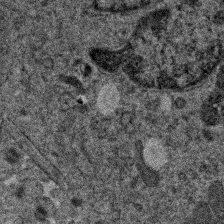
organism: Human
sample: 1205lu cells